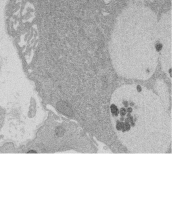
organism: Rat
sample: Salivary granule